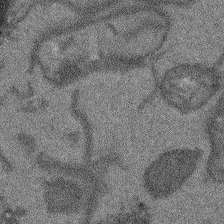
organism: Arabidopsis thaliana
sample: Root tip